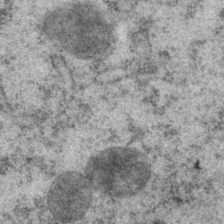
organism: P. pacificus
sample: Pharynx